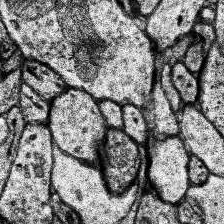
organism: Human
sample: Temporal Lobe